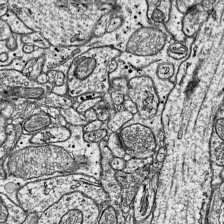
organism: Mouse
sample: Visual Cortex